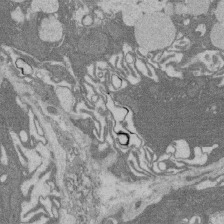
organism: Rat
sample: Salivary granule